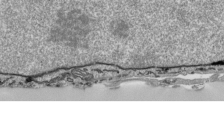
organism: Human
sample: Mitochondria in HCT116 cells